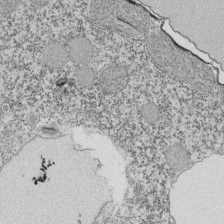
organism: Tetrahymena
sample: Cilia in tetrahymena